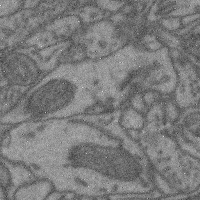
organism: Mouse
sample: Cerebral cortex